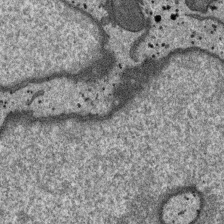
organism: Human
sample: Lung epithelial cells, uninfected (mock) control